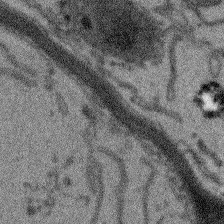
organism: Arabidopsis thaliana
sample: Root tip